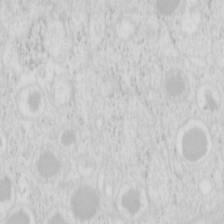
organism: Mouse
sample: Pancreas